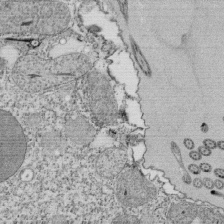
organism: Tetrahymena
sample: Cilia in tetrahymena